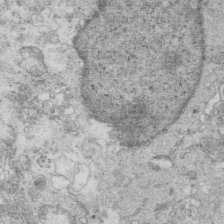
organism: Mouse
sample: Multiciliated cells